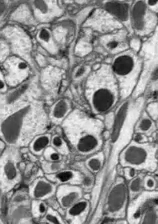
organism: Drosophila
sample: Optic lobe